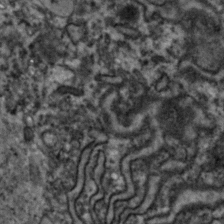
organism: Zebrafish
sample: Zebrafish embryo